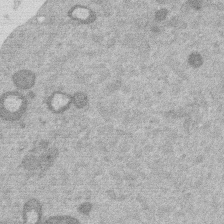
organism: Mouse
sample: Dividing mouse embryo 1 cell stage